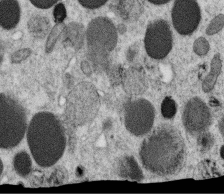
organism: C. elegans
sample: C. elegans oocyte; sperm cells